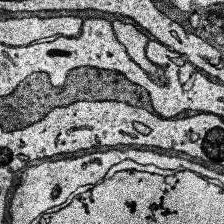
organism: Human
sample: Temporal Lobe